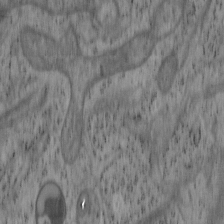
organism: Human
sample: HeLa cells